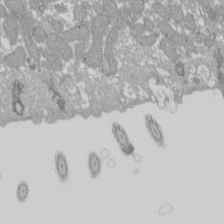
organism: Xenopus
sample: Cilia; centrioles in frog embryo cells